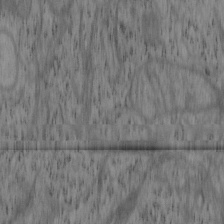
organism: Human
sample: HeLa cells